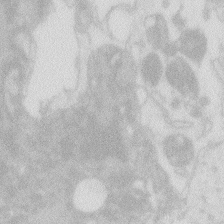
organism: Zebrafish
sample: Macrophage